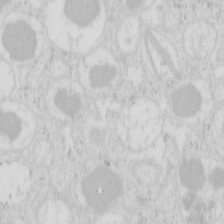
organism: Mouse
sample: Pancreas